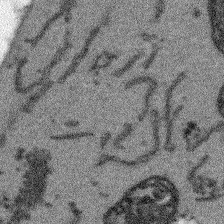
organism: Arabidopsis thaliana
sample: Root tip